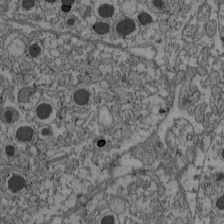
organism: C57BL Mouse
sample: Pancreatic islet